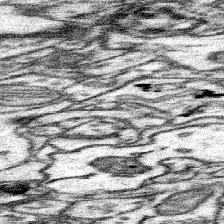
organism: Mouse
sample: Somatosensory cortex neuropil